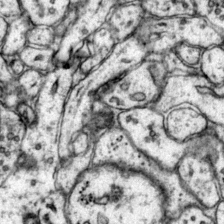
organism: Mouse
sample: Primary visual cortex